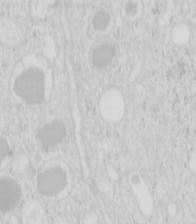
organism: Mouse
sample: Pancreas